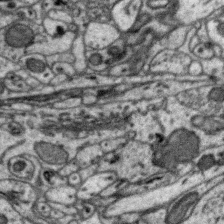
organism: Zebra finch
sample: Brain